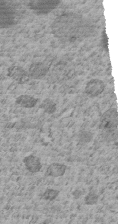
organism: C. elegans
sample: C. elegans embryo early stage